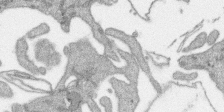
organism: Human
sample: Lung epithelial cells infected with SARS-CoV-2